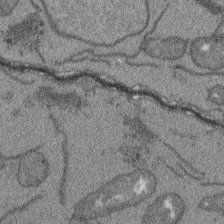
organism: Arabidopsis thaliana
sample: Root tip